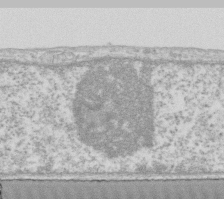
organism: Human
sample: Fibroblast cells